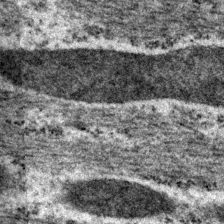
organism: P. pacificus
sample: Pharynx